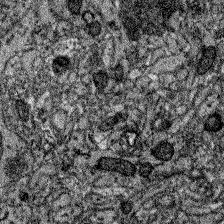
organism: Zebrafish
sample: Larval olfactory bulb